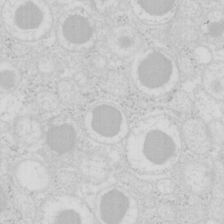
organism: Mouse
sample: Pancreas